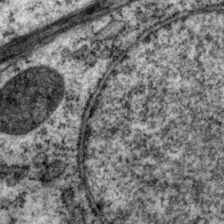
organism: P. pacificus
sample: Pharynx